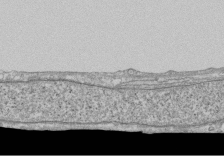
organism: Human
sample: Fibroblast cells